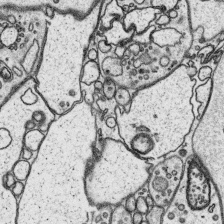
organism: Platynereis dumerilii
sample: Parapodia